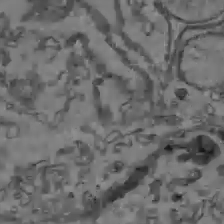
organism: C57BL Mouse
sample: Liver